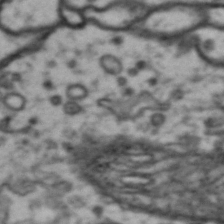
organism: Drosophila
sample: Brain